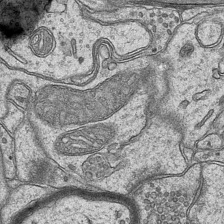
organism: Mouse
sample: CA1 Hippocampus